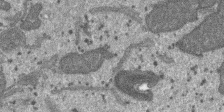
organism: Human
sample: Lung epithelial cells infected with SARS-CoV-2